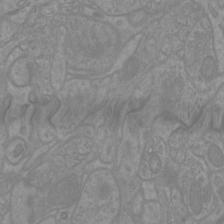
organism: Mouse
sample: Cortical neurons